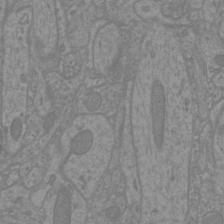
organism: Mouse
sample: Cortical neurons